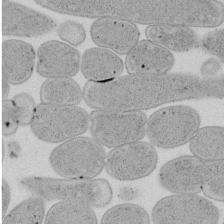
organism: E. coli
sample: Bacterial nucleoid